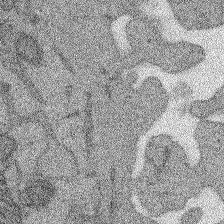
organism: Human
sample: HeLa cells